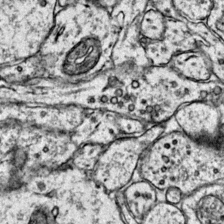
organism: Mouse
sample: Primary visual cortex